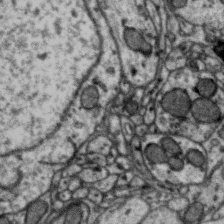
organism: Zebra finch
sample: Brain